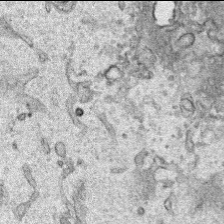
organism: Human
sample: Mitochondria in HCT116 cells